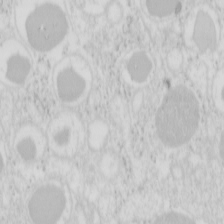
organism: Mouse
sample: Pancreas